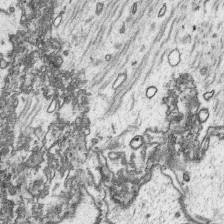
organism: Platynereis dumerilii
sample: Parapodia